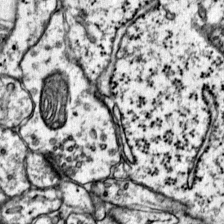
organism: Mouse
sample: Primary visual cortex